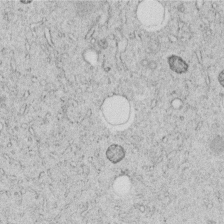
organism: C. elegans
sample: C. elegans embryo early stage